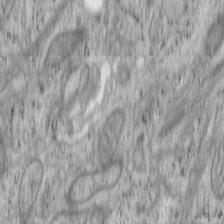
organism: Human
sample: HeLa cells